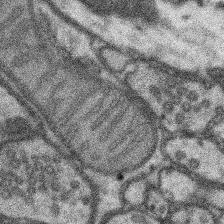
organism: Mouse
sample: Somatosensory cortex neuropil